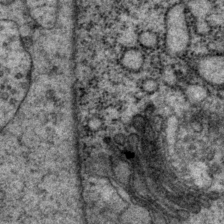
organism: P. pacificus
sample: Pharynx